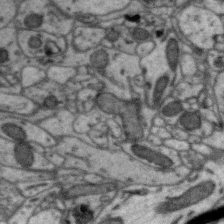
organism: Zebra finch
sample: Brain